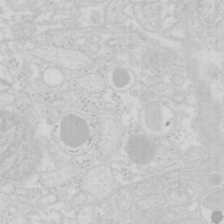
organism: Mouse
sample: Pancreas